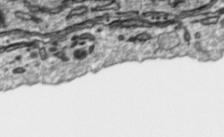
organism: Toxoplasma gondii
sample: Parasites in a vacuole inside a host cell